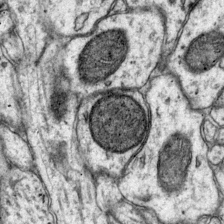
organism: Mouse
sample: Primary visual cortex